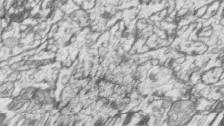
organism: Zebrafish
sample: synaptic ribbons in rod cells and cone cells